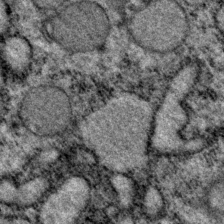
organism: P. pacificus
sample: Pharynx